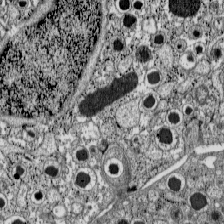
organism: C57BL Mouse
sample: Pancreatic islet